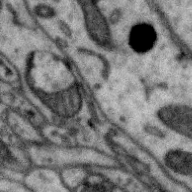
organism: Zebra finch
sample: Brain